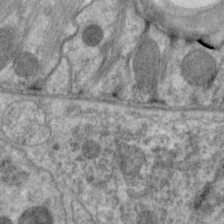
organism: C. elegans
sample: Pharynx